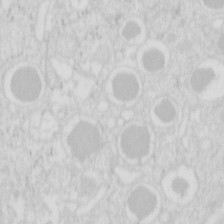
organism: Mouse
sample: Pancreas